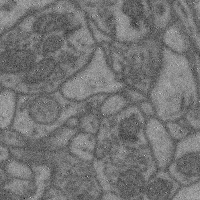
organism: Mouse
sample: Cerebral cortex